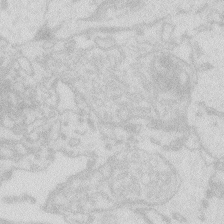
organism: Zebrafish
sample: Macrophage